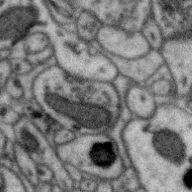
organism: Zebra finch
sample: Brain